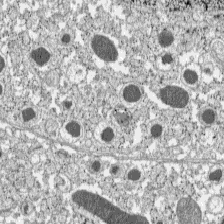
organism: C57BL Mouse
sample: Pancreatic islet